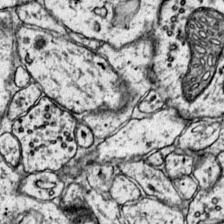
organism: Mouse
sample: Primary visual cortex